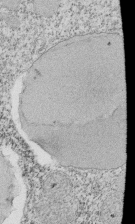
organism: Tetrahymena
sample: Cilia in tetrahymena